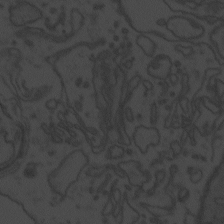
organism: Zebrafish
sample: Macrophage infected with Toxoplasma gondii